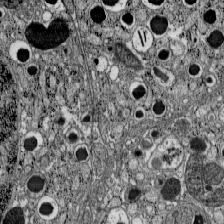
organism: C57BL Mouse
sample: Pancreatic islet